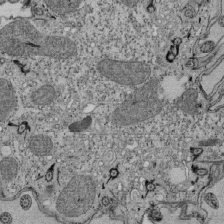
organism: Tetrahymena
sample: Cilia in tetrahymena